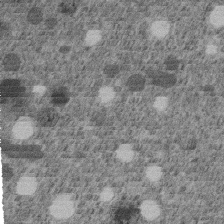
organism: C. elegans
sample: C. elegans embryo early stage